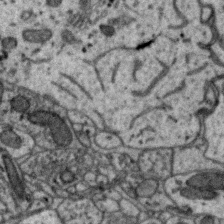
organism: Zebra finch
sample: Brain